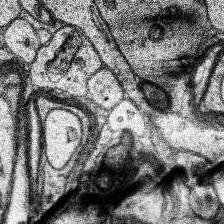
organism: Human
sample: Temporal Lobe